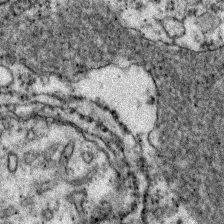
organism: Zebrafish